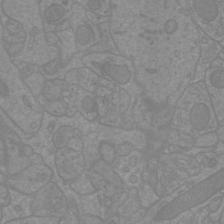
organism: Mouse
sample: Cortical neurons